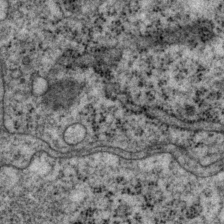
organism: P. pacificus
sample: Pharynx